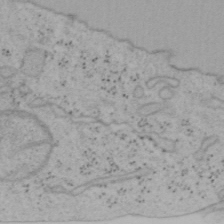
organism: Human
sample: HeLa cells